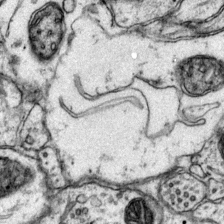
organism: Mouse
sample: Primary visual cortex